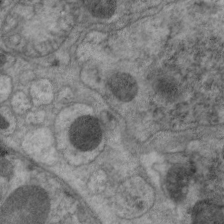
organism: C. elegans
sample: Pharynx